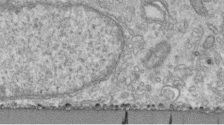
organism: Human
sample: Centriole in fibroblast cells